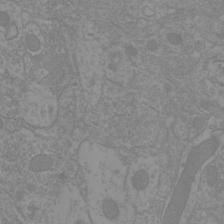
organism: Mouse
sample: Cortical neurons